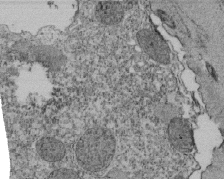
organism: Tetrahymena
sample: Cilia in tetrahymena